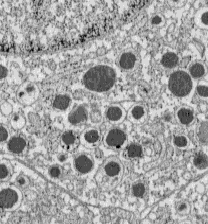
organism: C57BL Mouse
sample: Pancreatic islet